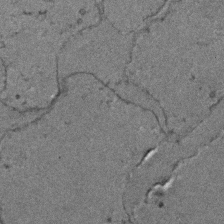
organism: Zebrafish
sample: Zebrafish embryo